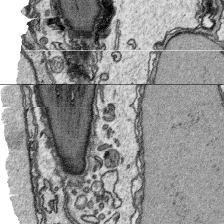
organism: Platynereis dumerilii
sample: Parapodia